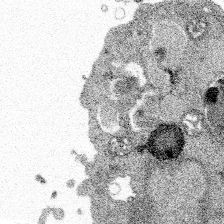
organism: Spongilla lacustris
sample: Multiple